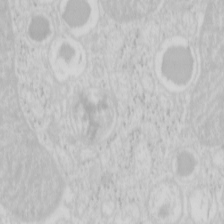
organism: Mouse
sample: Pancreas